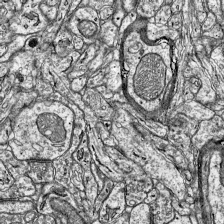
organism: Mouse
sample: Visual Cortex